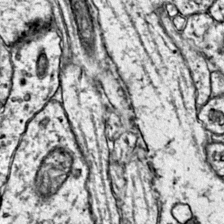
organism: Mouse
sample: Primary visual cortex